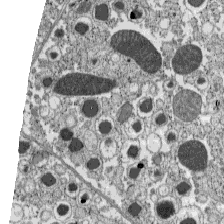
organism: C57BL Mouse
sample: Pancreatic islet